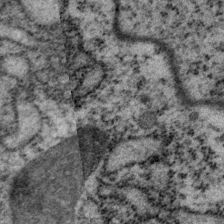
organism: P. pacificus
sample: Pharynx